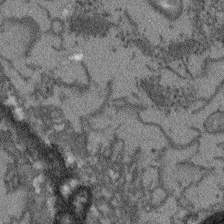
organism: Arabidopsis thaliana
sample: Root tip